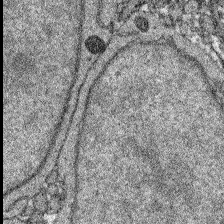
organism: Zebrafish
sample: Larval olfactory bulb